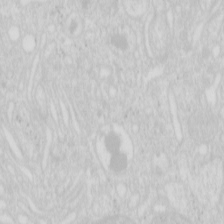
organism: Mouse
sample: Pancreas